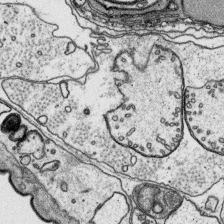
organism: Platynereis dumerilii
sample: Parapodia